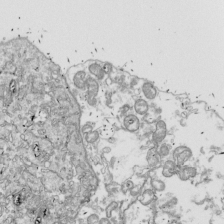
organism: Drosophila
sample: Cell division; meiosis; drosophila spermatocytes